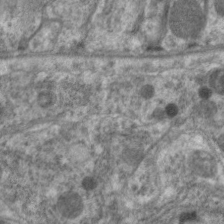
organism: C. elegans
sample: Pharynx